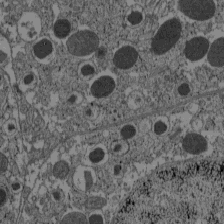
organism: C57BL Mouse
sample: Pancreatic islet